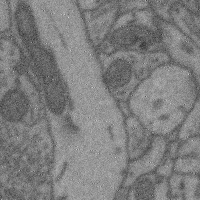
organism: Mouse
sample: Cerebral cortex